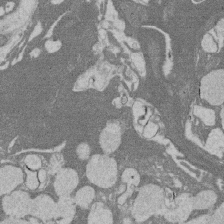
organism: Rat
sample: Salivary granule